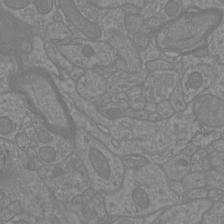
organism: Mouse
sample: Cortical neurons